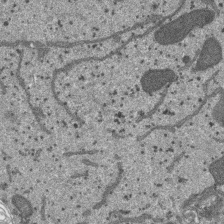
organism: Human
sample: Lung epithelial cells infected with SARS-CoV-2